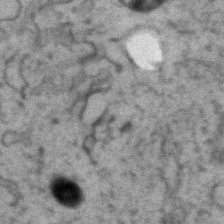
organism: Zebrafish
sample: Zebrafish embryo